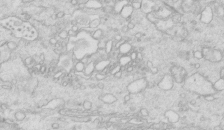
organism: Mouse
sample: Multiciliated cells